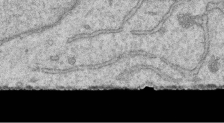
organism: Human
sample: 1205lu cells